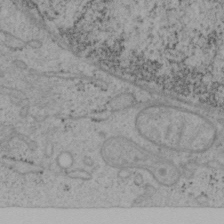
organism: Human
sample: HeLa cells